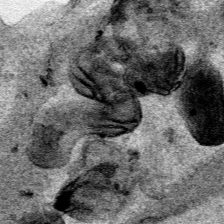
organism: Human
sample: Mitochondria in HCT116 cells